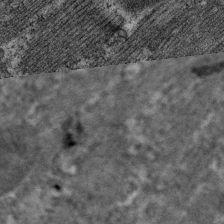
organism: C. elegans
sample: Pharynx